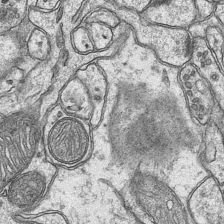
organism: Mouse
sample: CA1 Hippocampus